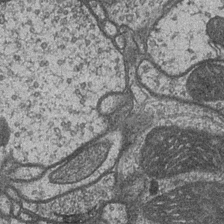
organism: Drosophila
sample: Optic medulla